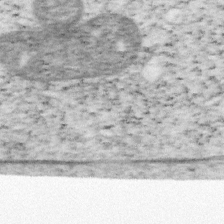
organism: Mouse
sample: OT-I killer T cells with ID8 ovarian cancer cells